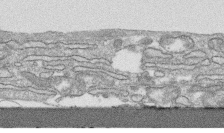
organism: Human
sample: CRL-1474